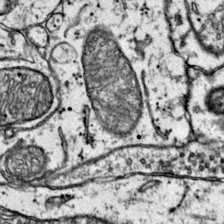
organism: Mouse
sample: Primary visual cortex